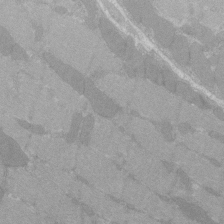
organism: C57BL Mouse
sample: Tibialis anterior muscle cell